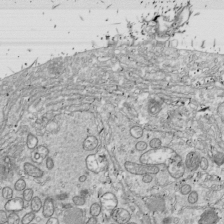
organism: Drosophila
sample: Cell division; meiosis; drosophila spermatocytes